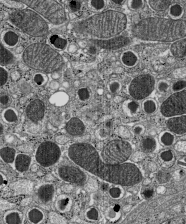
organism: C57BL Mouse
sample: Pancreatic islet